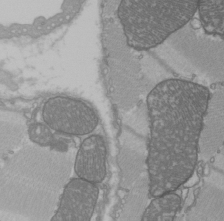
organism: C57BL Mouse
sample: Heart